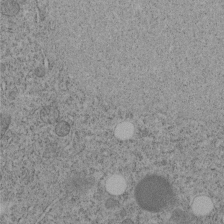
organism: C. elegans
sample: C. elegans embryo early stage